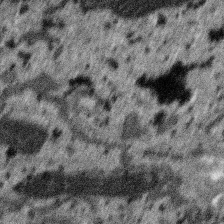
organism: Human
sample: Lung epithelial cells infected with SARS-CoV-2